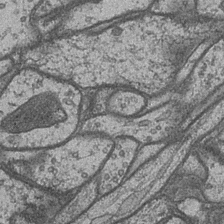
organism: Drosophila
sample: Optic medulla